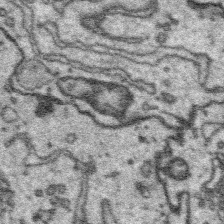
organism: Platynereis dumerilii